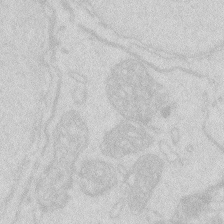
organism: Zebrafish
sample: Macrophage